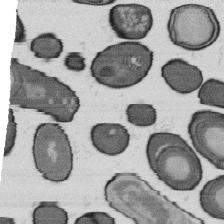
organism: B. subtilis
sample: Bacterial spore